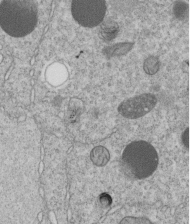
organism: C. elegans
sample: C. elegans embryo early stage